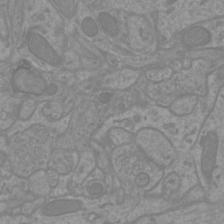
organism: Mouse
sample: Cortical neurons